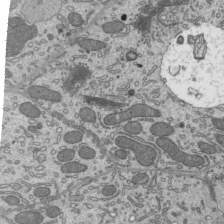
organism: Mouse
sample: Mouse epididymis efferent ductule cilia